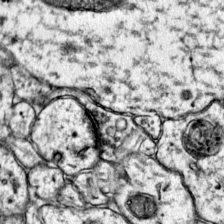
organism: Mouse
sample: Primary visual cortex